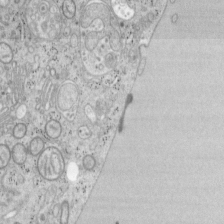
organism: Mouse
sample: OT-I killer T cells with ID8 ovarian cancer cells